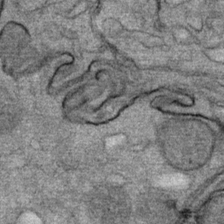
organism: Mouse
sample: Mouse Salivary gland